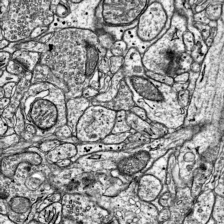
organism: Mouse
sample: Visual Cortex